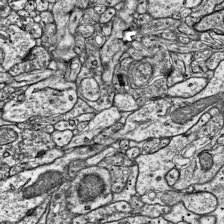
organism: Mouse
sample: Visual Cortex